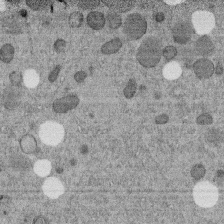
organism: C. elegans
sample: C. elegans embryo early stage